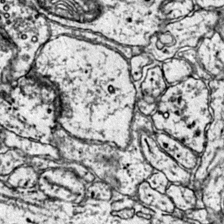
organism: Mouse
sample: Primary visual cortex